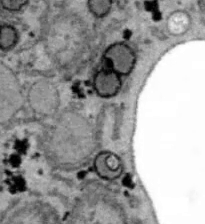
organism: Mouse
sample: Liver from an obese (ob/ob) mouse